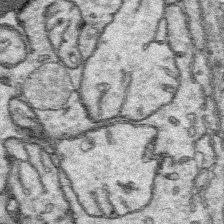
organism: Platynereis dumerilii